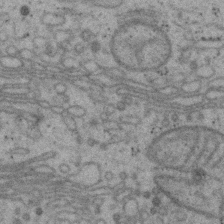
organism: Human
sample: HeLa cells